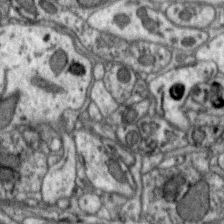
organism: Zebra finch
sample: Brain